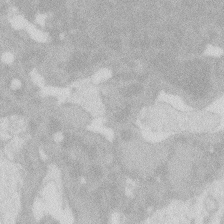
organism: Zebrafish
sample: Macrophage